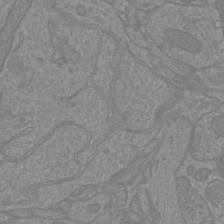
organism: Mouse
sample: Cortical neurons